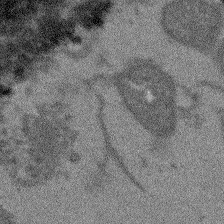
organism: Arabidopsis thaliana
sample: Root tip